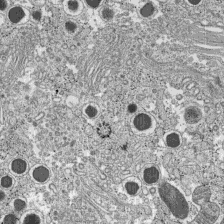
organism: C57BL Mouse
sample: Pancreatic islet